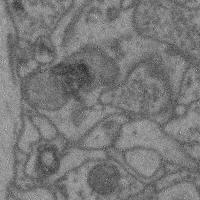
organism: Mouse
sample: Cerebral cortex